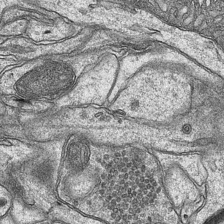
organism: Mouse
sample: CA1 Hippocampus